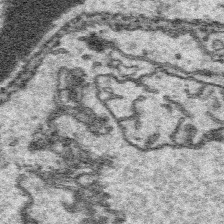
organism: Platynereis dumerilii